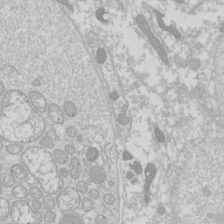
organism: Drosophila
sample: Cell division; meiosis; drosophila spermatocytes